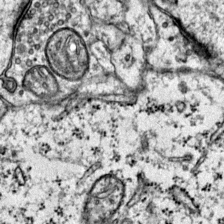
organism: Mouse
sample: Primary visual cortex